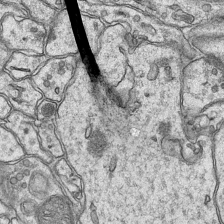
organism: Mouse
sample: CA1 Hippocampus